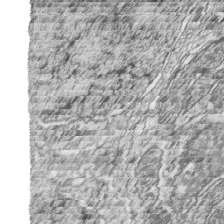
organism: Zebrafish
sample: synaptic ribbons in rod cells and cone cells